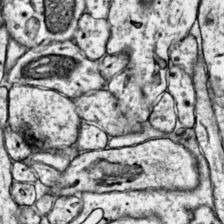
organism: Mouse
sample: Primary visual cortex